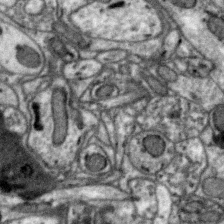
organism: Zebra finch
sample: Brain